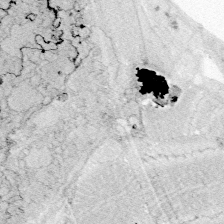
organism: Zebrafish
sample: Whole-Brain